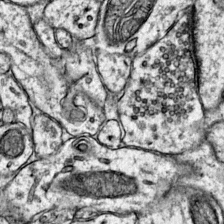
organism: Mouse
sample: Primary visual cortex